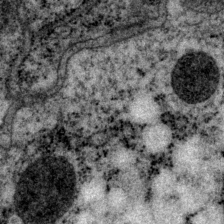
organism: P. pacificus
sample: Pharynx